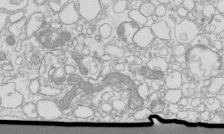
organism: Mouse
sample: Macrophages